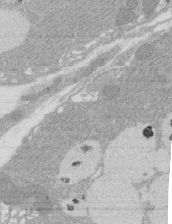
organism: Rat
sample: Salivary granule